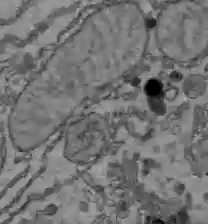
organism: C57BL Mouse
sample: Liver